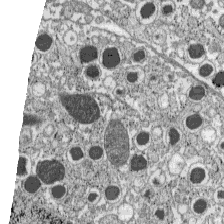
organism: C57BL Mouse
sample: Pancreatic islet